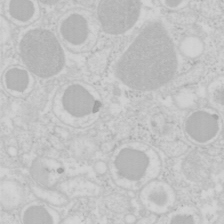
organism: Mouse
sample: Pancreas